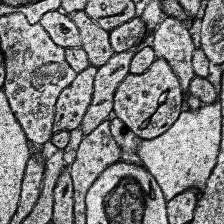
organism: Human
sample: Temporal Lobe